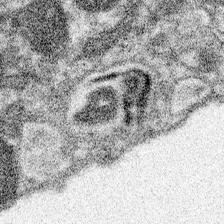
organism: Spongilla lacustris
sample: Neuroid cell